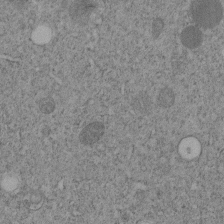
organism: C. elegans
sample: C. elegans embryo early stage